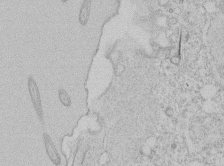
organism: Tetrahymena